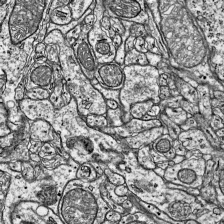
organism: Mouse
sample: Visual Cortex